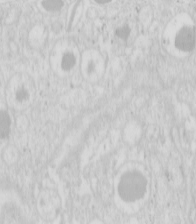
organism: Mouse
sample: Pancreas